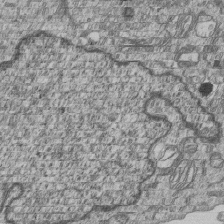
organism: Human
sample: MDA-MB-231 cells